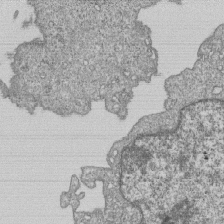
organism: Human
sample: MDA-MB-231 cells